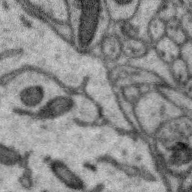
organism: Zebra finch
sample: Brain